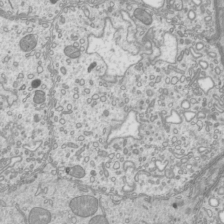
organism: Mouse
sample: Cilia; mouse epididymis